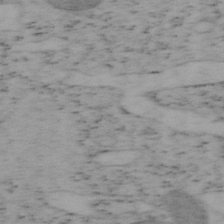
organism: Mouse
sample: OT-I killer T cells with ID8 ovarian cancer cells